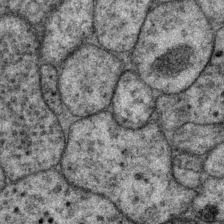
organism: P. pacificus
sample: Pharynx